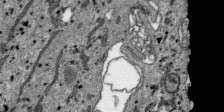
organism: Human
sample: Lung epithelial cells, uninfected (mock) control